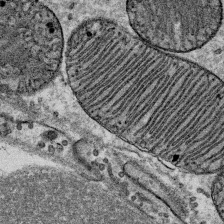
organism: Mouse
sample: Mouse Salivary gland